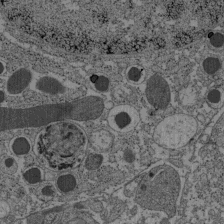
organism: C57BL Mouse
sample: Pancreatic islet